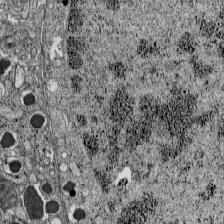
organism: C57BL Mouse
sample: Pancreatic islet